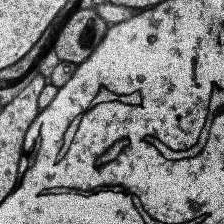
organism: Human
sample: Temporal Lobe